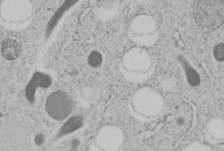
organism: C. elegans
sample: C. elegans embryo early stage